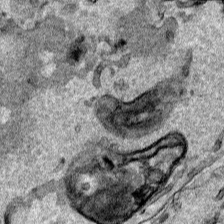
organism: Human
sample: Mitochondria in HCT116 cells